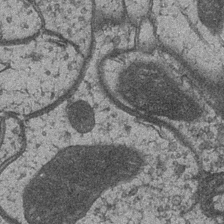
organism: Drosophila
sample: Optic medulla